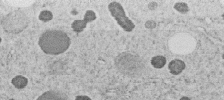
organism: C. elegans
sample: C. elegans embryo early stage